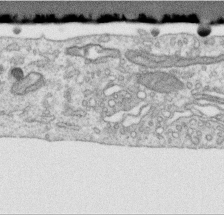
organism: Human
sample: Centriole in RPE cells